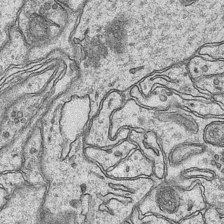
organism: Mouse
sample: CA1 Hippocampus